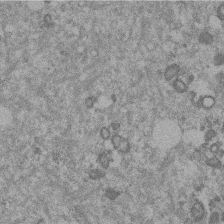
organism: Mouse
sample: Dividing mouse embryo 1 cell stage